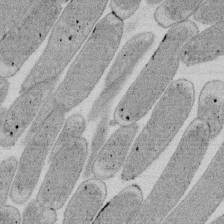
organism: E. coli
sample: Bacterial nucleoid